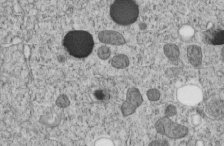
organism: C. elegans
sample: C. elegans embryo early stage